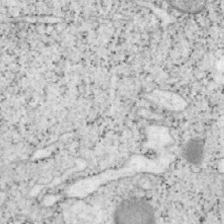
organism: Mouse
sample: OT-I killer T cells with ID8 ovarian cancer cells